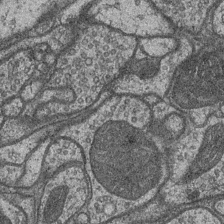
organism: Drosophila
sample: Optic medulla